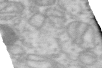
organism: Human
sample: Centriole in RPE cells